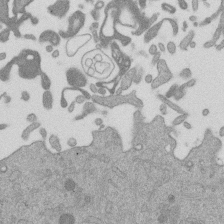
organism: Mouse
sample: Dividing mouse embryo 1 cell stage